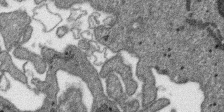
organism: Human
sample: Lung epithelial cells infected with SARS-CoV-2